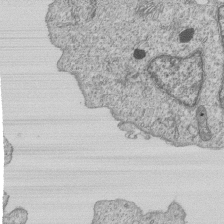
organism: Human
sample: MDA-MB-231 cells